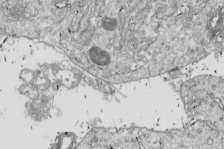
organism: Drosophila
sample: Cell division; meiosis; drosophila spermatocytes